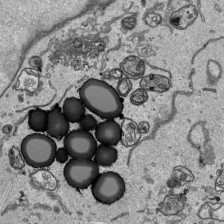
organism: Human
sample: Mitochondria in HCT116 cells